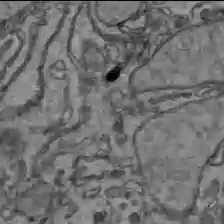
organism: C57BL Mouse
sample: Liver